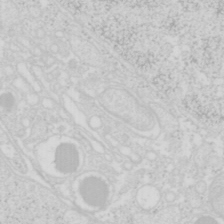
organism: Mouse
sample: Pancreas